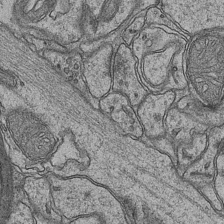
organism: Mouse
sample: CA1 Hippocampus